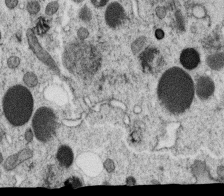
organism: C. elegans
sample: C. elegans oocyte; sperm cells